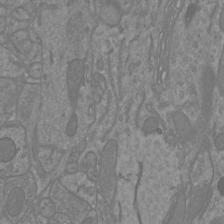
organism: Mouse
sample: Cortical neurons